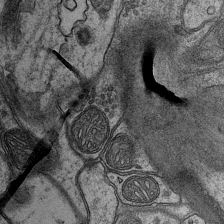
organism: Mouse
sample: CA1 Hippocampus